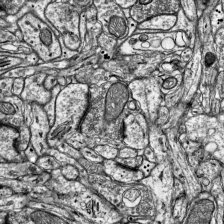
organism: Mouse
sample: Visual Cortex